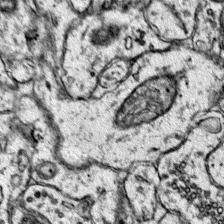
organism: Mouse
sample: Primary visual cortex